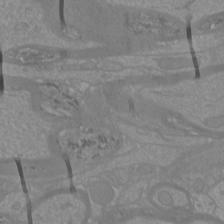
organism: Mouse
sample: Cortical neurons